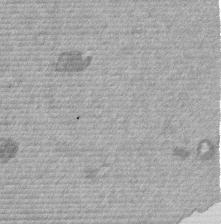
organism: Mouse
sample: Dividing mouse embryo 1 cell stage